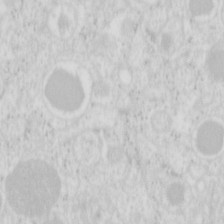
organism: Mouse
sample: Pancreas